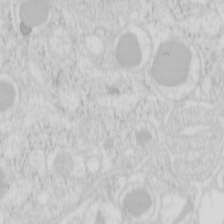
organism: Mouse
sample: Pancreas